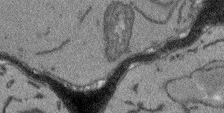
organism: Arabidopsis thaliana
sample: Root tip